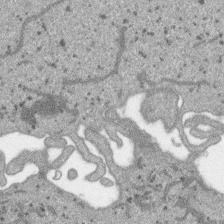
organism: Human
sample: Lung epithelial cells infected with SARS-CoV-2